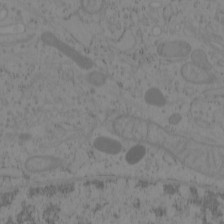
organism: Human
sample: HeLa cells